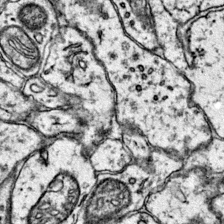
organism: Mouse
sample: Primary visual cortex